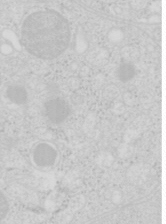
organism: Mouse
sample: Pancreas